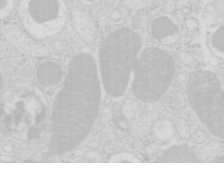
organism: Mouse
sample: Pancreas